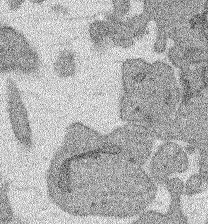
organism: Human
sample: HeLa cells